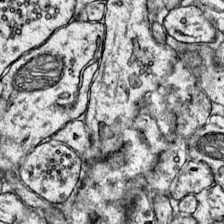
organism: Mouse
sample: Primary visual cortex